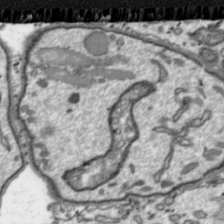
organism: Toxoplasma gondii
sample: Parasites in a vacuole inside a host cell